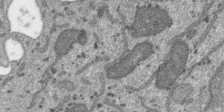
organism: Human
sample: Lung epithelial cells infected with SARS-CoV-2